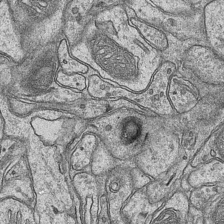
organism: Mouse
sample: CA1 Hippocampus